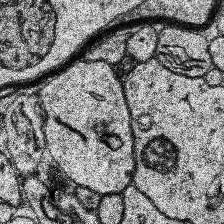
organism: Human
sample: Temporal Lobe